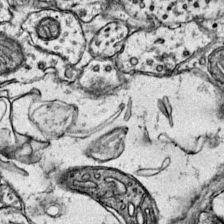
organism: Mouse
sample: Primary visual cortex